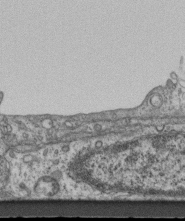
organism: Mouse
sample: Centriole in ependymal cells